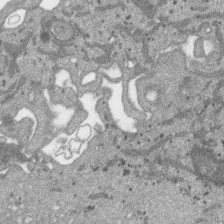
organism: Human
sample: Lung epithelial cells infected with SARS-CoV-2